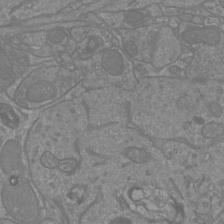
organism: Mouse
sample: Cortical neurons